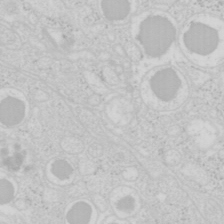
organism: Mouse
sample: Pancreas